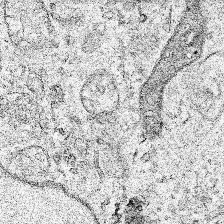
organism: Human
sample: Mitochondria in HCT116 cells